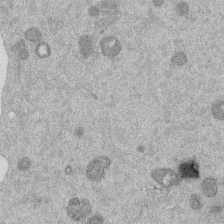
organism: Mouse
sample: Dividing mouse embryo 1 cell stage